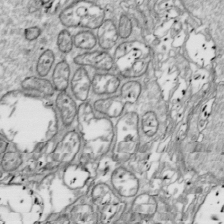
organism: Drosophila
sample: Cell division; meiosis; drosophila spermatocytes